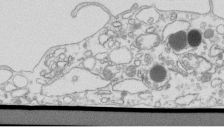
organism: Mouse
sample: Macrophages